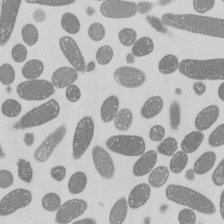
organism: E. coli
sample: Bacterial nucleoid